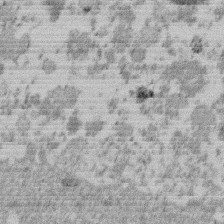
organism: Mouse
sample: Dividing mouse embryo 1 cell stage